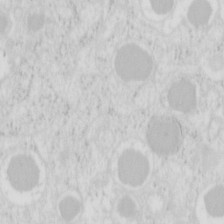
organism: Mouse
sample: Pancreas